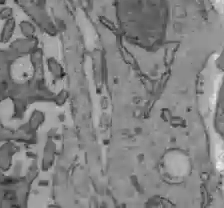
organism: C57BL Mouse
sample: Liver